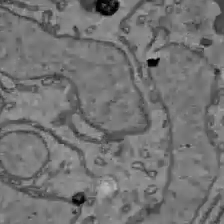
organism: C57BL Mouse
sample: Liver